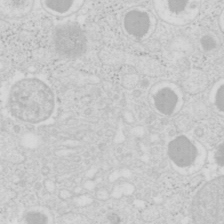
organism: Mouse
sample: Pancreas